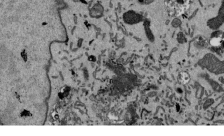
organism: Mouse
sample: ED-1 cell nuclei; centrioles